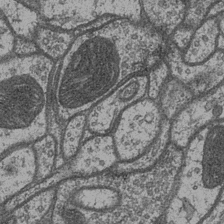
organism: Drosophila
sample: Optic medulla